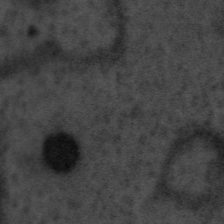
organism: Tuwongella immobilis